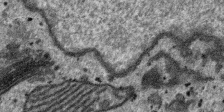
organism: Human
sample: Lung epithelial cells, uninfected (mock) control